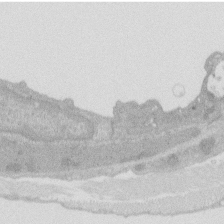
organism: Rat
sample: Salivary granule